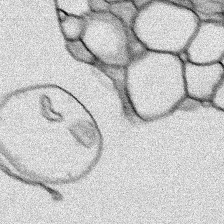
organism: Human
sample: Mitochondria in HCT116 cells